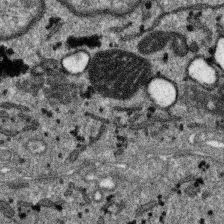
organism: Human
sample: Lung epithelial cells infected with SARS-CoV-2